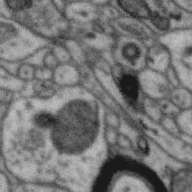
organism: Zebra finch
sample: Brain